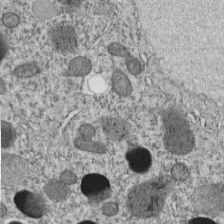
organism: C. elegans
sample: C. elegans embryo early stage